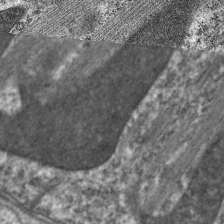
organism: C. elegans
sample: Pharynx